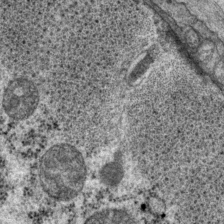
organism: P. pacificus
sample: Pharynx